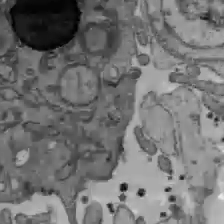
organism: C57BL Mouse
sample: Liver